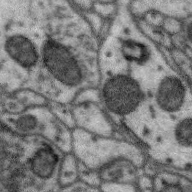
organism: Zebra finch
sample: Brain